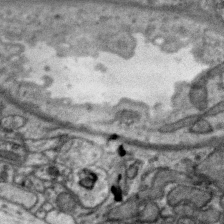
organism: Zebra finch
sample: Brain